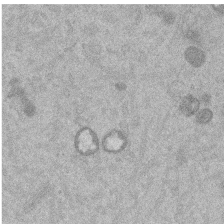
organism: Mouse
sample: Dividing mouse embryo 1 cell stage